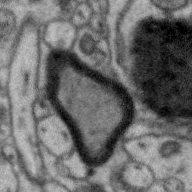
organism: Zebra finch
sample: Brain